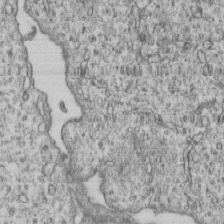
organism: Human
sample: MDA-MB-231 cells